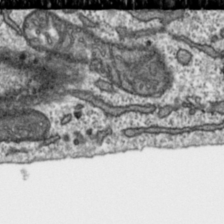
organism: Toxoplasma gondii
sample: Parasites in a vacuole inside a host cell